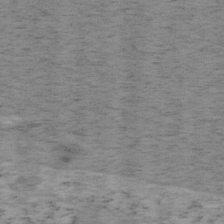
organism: Mouse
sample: OT-I killer T cells with ID8 ovarian cancer cells